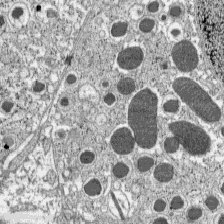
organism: C57BL Mouse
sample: Pancreatic islet